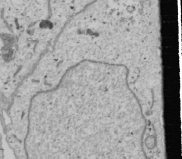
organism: Human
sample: Mitochondria in U2OS cells